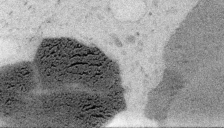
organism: Embia sp.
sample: Silk gland